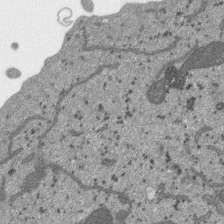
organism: Human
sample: Lung epithelial cells infected with SARS-CoV-2